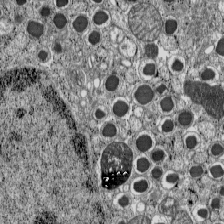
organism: C57BL Mouse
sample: Pancreatic islet